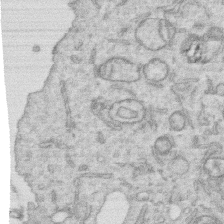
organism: Human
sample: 1205lu cells